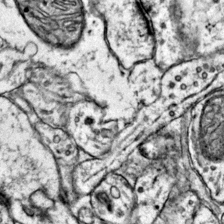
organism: Mouse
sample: Primary visual cortex